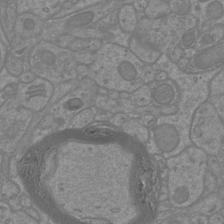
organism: Mouse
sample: Cortical neurons